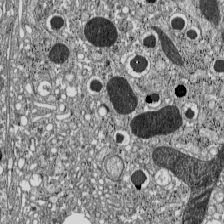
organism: C57BL Mouse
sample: Pancreatic islet